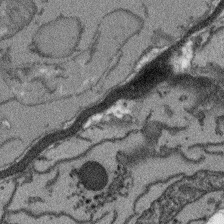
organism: Arabidopsis thaliana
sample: Root tip